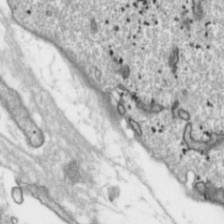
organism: Toxoplasma gondii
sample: Parasites in a vacuole inside a host cell